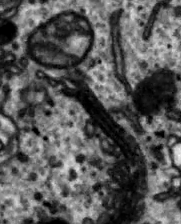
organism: Human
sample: HeLa cells